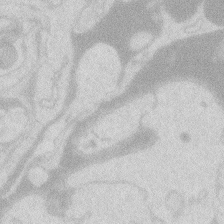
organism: Zebrafish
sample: Macrophage